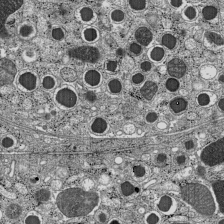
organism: C57BL Mouse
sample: Pancreatic islet